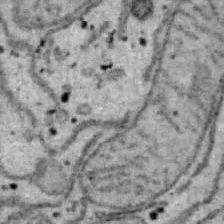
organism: Mouse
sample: Liver from an obese (ob/ob) mouse